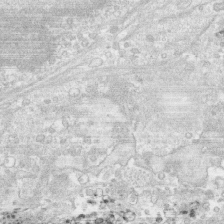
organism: Human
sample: CRL-1474